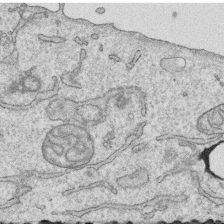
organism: Human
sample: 1205lu cells